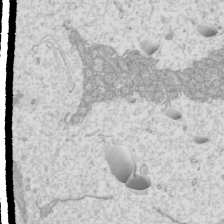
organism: Mouse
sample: Cilia; mouse epididymis